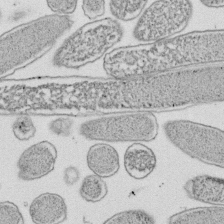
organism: E. coli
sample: Bacterial nucleoid